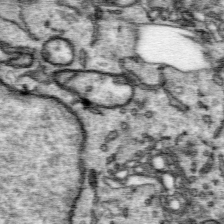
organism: Human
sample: HeLa cells